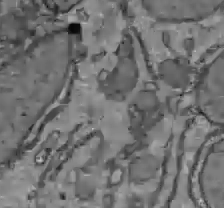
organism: C57BL Mouse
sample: Liver